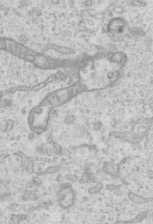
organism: Mouse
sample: Centriole in ependymal cells